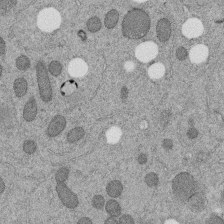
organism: C. elegans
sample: C. elegans embryo early stage